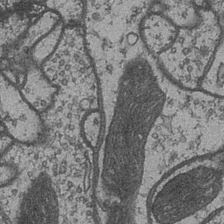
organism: Drosophila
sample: Optic medulla